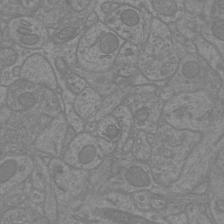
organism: Mouse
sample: Cortical neurons